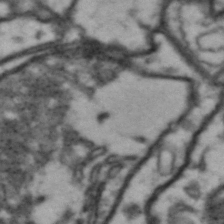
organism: Drosophila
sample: Brain